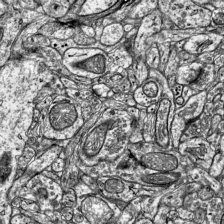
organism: Mouse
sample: Visual Cortex